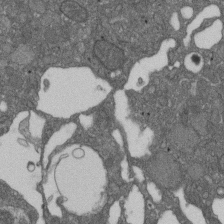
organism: Drosophila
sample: Nephrocyte